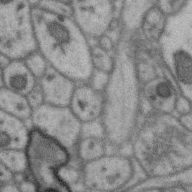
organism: Zebra finch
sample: Brain